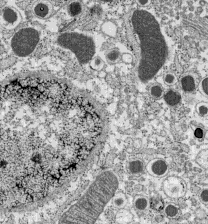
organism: C57BL Mouse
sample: Pancreatic islet